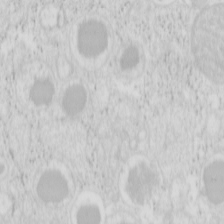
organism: Mouse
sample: Pancreas